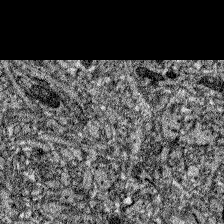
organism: Zebrafish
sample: Larval olfactory bulb